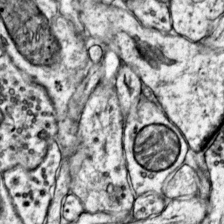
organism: Mouse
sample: Primary visual cortex